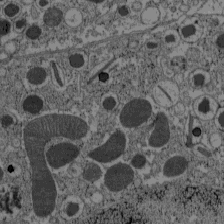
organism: C57BL Mouse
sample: Pancreatic islet